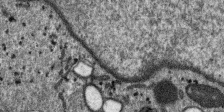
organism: Human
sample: Lung epithelial cells infected with SARS-CoV-2